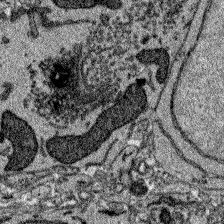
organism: Zebrafish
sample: Larval olfactory bulb